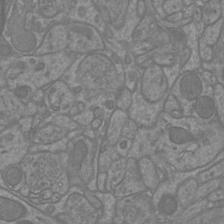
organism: Mouse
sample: Cortical neurons